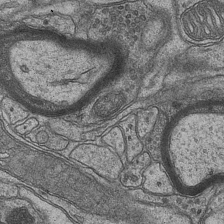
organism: Mouse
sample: CA1 Hippocampus